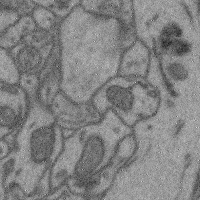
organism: Mouse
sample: Cerebral cortex